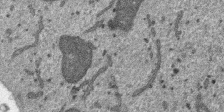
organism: Human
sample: Lung epithelial cells infected with SARS-CoV-2